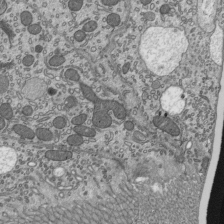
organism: Mouse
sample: Mouse epididymis efferent ductule cilia